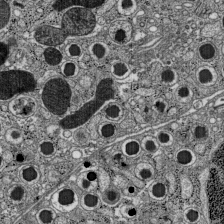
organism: C57BL Mouse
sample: Pancreatic islet